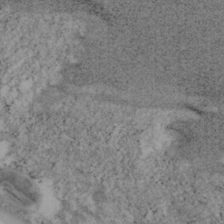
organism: Mouse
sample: OT-I killer T cells with ID8 ovarian cancer cells